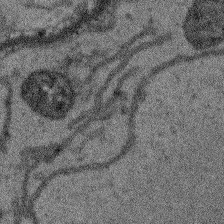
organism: Arabidopsis thaliana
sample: Root tip